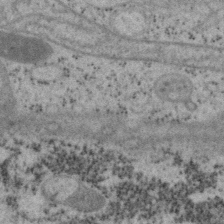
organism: Human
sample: HeLa cells